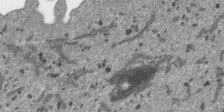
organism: Human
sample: Lung epithelial cells infected with SARS-CoV-2